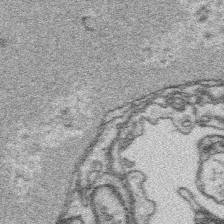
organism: Platynereis dumerilii